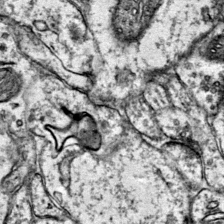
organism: Mouse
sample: Primary visual cortex